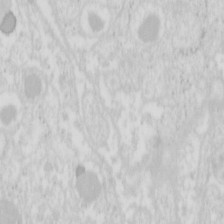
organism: Mouse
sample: Pancreas